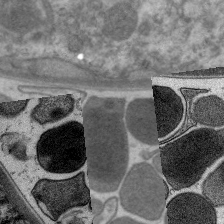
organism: C. elegans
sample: Pharynx